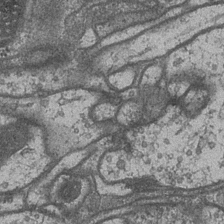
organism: Drosophila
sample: Optic medulla